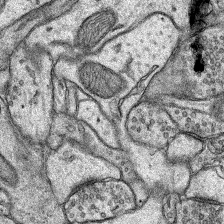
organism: Rat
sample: Hippocampus